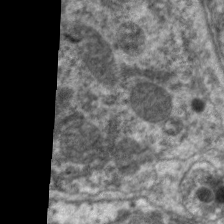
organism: C. elegans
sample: Pharynx